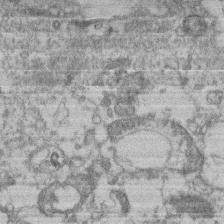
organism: Mouse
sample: T cell stromal cell synapse